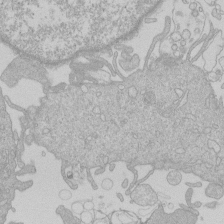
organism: Human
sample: Macrophage cells